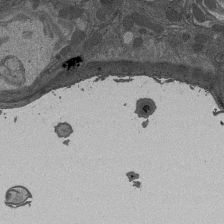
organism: Drosophila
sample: Antenna